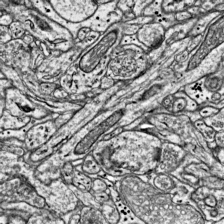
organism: Mouse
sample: Visual Cortex